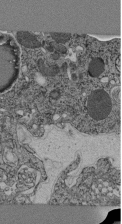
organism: C. elegans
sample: C. elegans pharynx